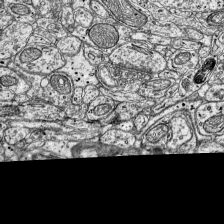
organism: Mouse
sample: Visual Cortex